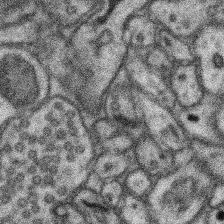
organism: Mouse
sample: Somatosensory cortex neuropil